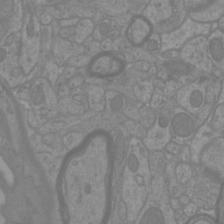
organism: Mouse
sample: Cortical neurons